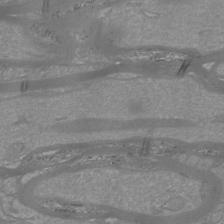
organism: Mouse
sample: Cortical neurons